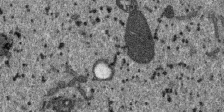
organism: Human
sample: Lung epithelial cells infected with SARS-CoV-2